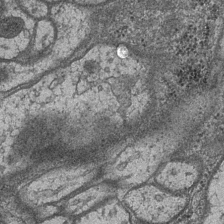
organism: Drosophila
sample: Optic medulla